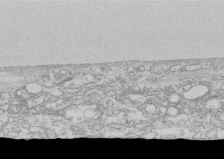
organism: Human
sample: CRL-1474